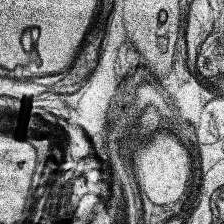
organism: Human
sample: Temporal Lobe